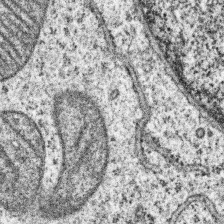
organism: Human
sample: HeLa cells